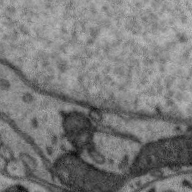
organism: Zebra finch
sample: Brain